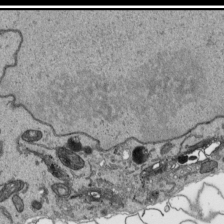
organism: Human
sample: Mitochondria in HCT116 cells